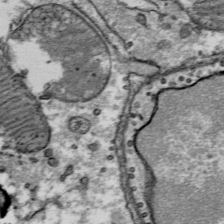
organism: Mouse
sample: Mouse Salivary gland